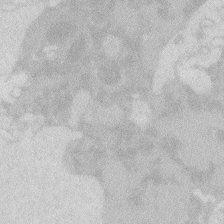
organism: Zebrafish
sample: Macrophage